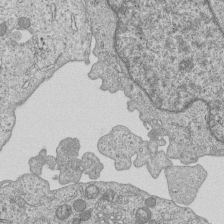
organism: Human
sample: MDA-MB-231 cells